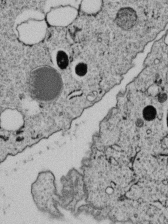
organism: C. elegans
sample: C. elegans embryo early stage